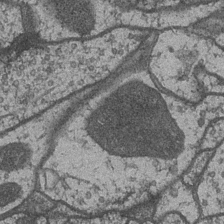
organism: Drosophila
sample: Optic medulla